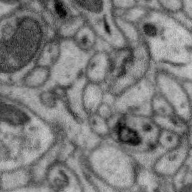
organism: Zebra finch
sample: Brain